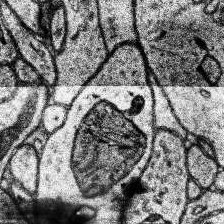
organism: Human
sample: Temporal Lobe